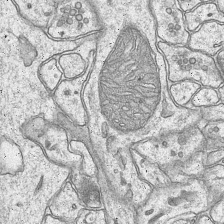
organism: Mouse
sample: CA1 Hippocampus